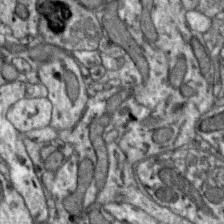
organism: Zebra finch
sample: Brain